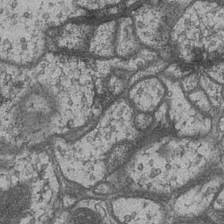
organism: Drosophila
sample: Optic medulla